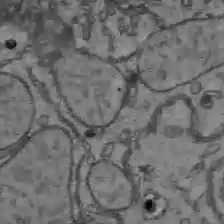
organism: C57BL Mouse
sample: Liver